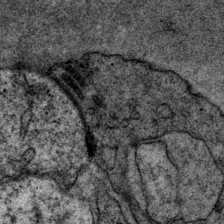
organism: P. pacificus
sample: Pharynx